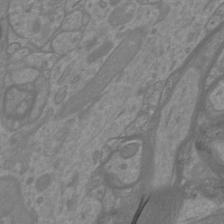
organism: Mouse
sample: Cortical neurons